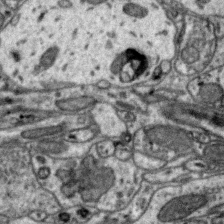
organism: Zebra finch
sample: Brain